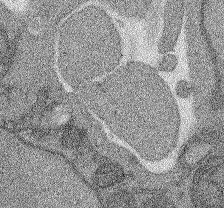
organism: Human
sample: HeLa cells